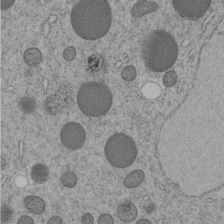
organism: C. elegans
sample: C. elegans embryo early stage